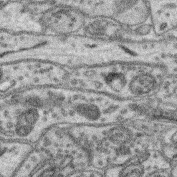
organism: Mouse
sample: Retina